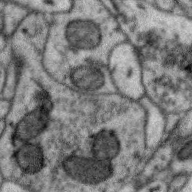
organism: Zebra finch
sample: Brain